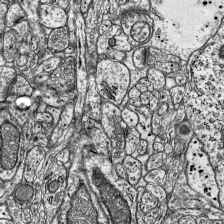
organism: Mouse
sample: Visual Cortex